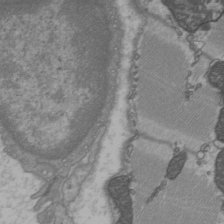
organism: C57BL Mouse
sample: Heart